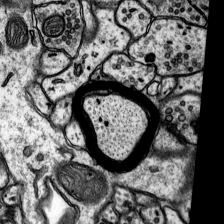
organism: Rat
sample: Hippocampus